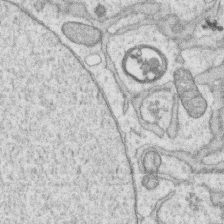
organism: Human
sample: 1205lu cells